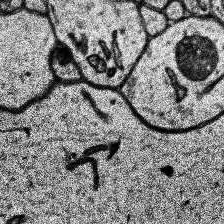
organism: Human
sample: Temporal Lobe